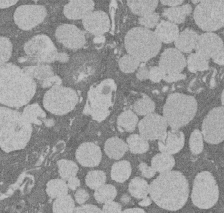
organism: Rat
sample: Salivary granule